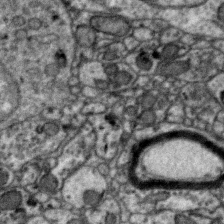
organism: Zebra finch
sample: Brain